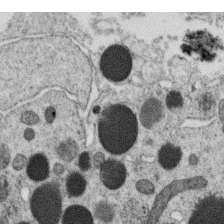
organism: C. elegans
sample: C. elegans oocyte; sperm cells